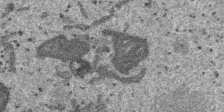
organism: Human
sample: Lung epithelial cells infected with SARS-CoV-2